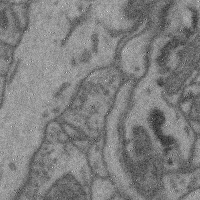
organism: Mouse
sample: Cerebral cortex